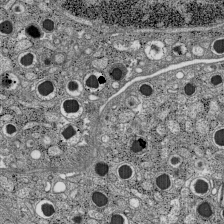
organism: C57BL Mouse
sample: Pancreatic islet